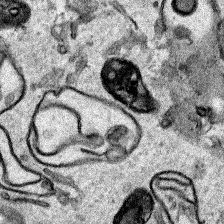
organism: Human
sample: Mitochondria in HCT116 cells